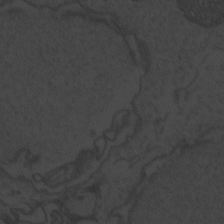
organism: Zebrafish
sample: Macrophage infected with Toxoplasma gondii